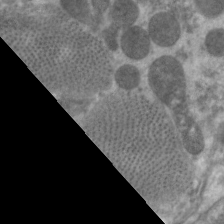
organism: C. elegans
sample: Pharynx